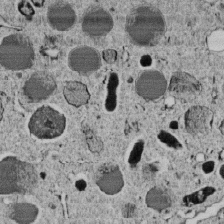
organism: C. elegans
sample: C. elegans embryo early stage